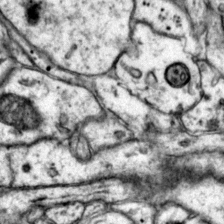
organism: Mouse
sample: Primary visual cortex